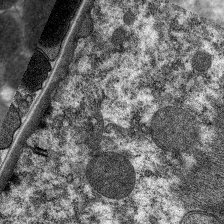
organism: C. elegans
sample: Pharynx